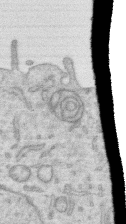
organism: Human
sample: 1205lu cells